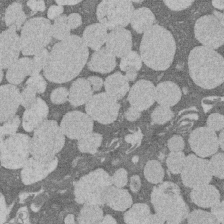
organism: Rat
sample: Salivary granule